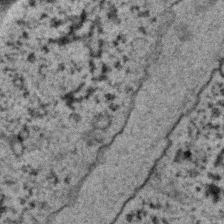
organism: C. elegans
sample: C. elegans embryo